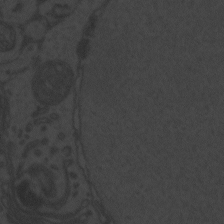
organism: Zebrafish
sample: Macrophage infected with Toxoplasma gondii